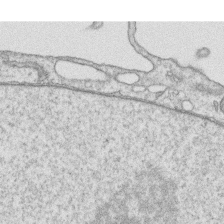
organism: Human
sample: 1205lu cells